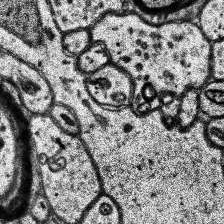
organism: Human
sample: Temporal Lobe